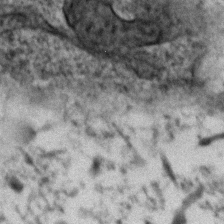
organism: Zebrafish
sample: Zebrafish embryo